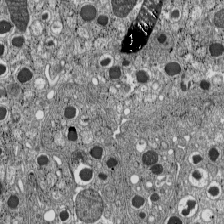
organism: C57BL Mouse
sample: Pancreatic islet